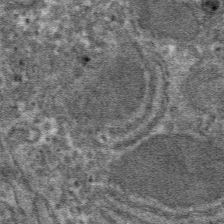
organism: Mouse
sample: Mouse hepatocytes